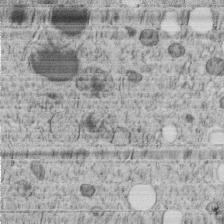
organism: C. elegans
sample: C. elegans embryo early stage